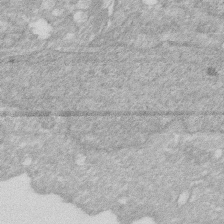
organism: Human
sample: HIV infected U937 cells